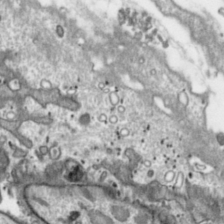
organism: Toxoplasma gondii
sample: Parasites in a vacuole inside a host cell